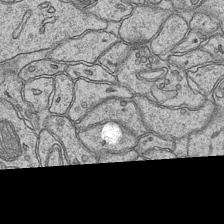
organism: Mouse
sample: CA1 Hippocampus